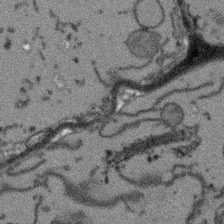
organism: Arabidopsis thaliana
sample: Root tip